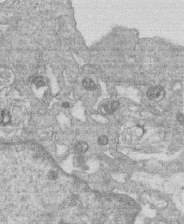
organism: Human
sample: Macrophage cells